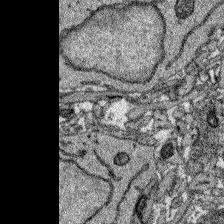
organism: Zebrafish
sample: Larval olfactory bulb